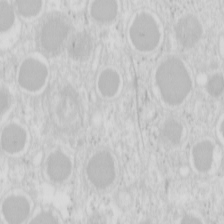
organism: Mouse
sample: Pancreas